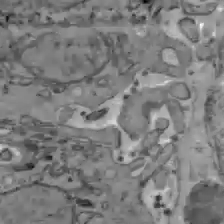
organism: C57BL Mouse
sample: Liver